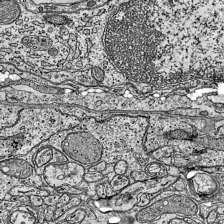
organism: Mouse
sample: Visual Cortex